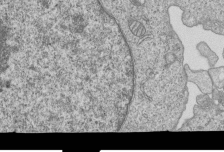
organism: Human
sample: MDA-MB-231 cells